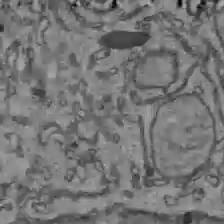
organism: C57BL Mouse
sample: Liver